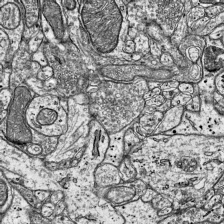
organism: Mouse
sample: Visual Cortex